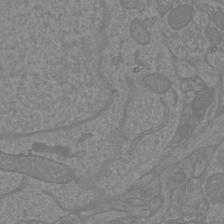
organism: Mouse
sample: Cortical neurons